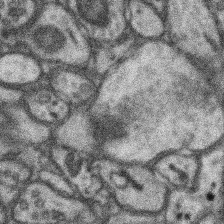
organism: Mouse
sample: Somatosensory cortex neuropil